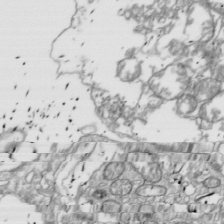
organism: Drosophila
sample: Cell division; meiosis; drosophila spermatocytes